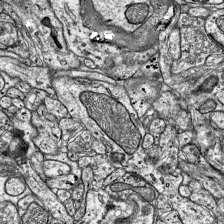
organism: Mouse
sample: Visual Cortex